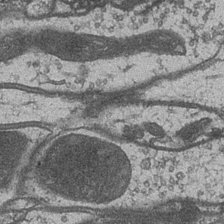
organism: Drosophila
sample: Optic medulla